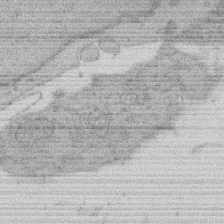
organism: Rat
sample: Salivary granule